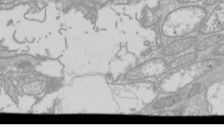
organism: Drosophila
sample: Cell division; meiosis; drosophila spermatocytes